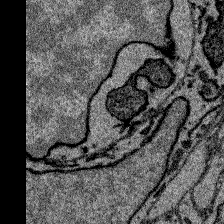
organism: Zebrafish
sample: Larval olfactory bulb